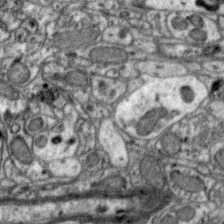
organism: Zebra finch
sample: Brain